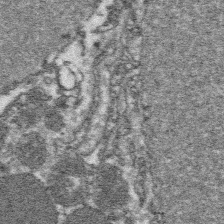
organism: Platynereis dumerilii